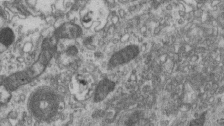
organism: Mouse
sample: Centriole in ependymal cells